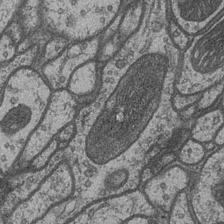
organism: Drosophila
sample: Optic medulla